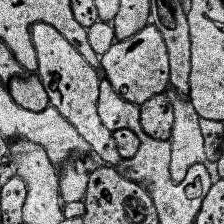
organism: Human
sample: Temporal Lobe